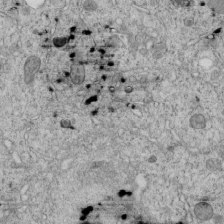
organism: C. elegans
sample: C. elegans embryo early stage